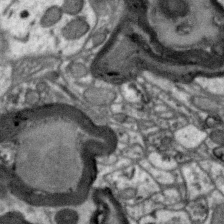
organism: Zebra finch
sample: Brain